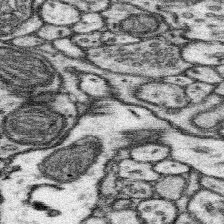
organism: Mouse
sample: Somatosensory cortex neuropil